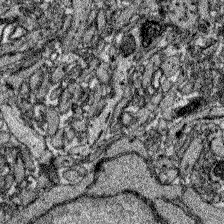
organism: Zebrafish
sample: Larval olfactory bulb